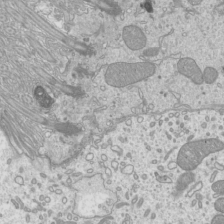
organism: Mouse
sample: Cilia; mouse epididymis